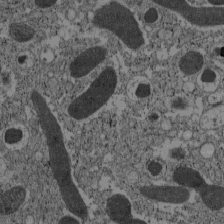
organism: C57BL Mouse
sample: Pancreatic islet